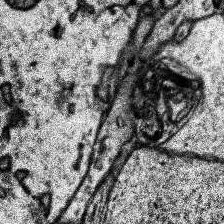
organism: Human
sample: Temporal Lobe